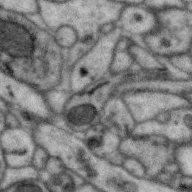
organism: Zebra finch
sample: Brain